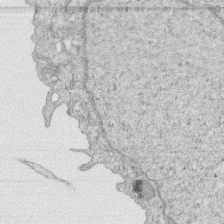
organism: Human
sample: HeLa cell HIV synapse